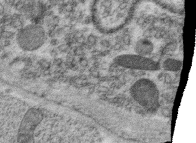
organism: C. elegans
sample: C. elegans oocyte; sperm cells